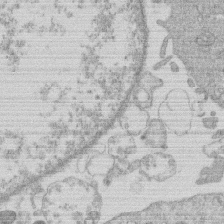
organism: Human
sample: Macrophage cells